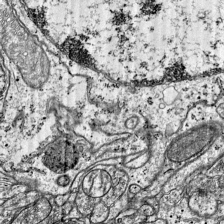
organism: Mouse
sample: Visual Cortex